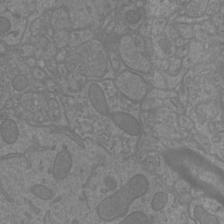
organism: Mouse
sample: Cortical neurons